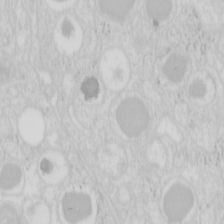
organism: Mouse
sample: Pancreas